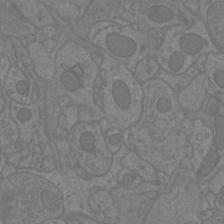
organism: Mouse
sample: Cortical neurons